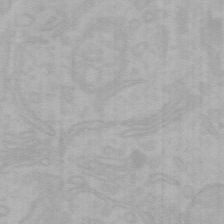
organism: Mouse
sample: Choroid plexus